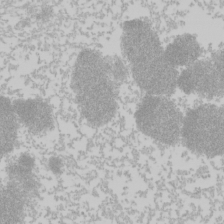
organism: Mouse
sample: Cancer cell death in ED-1 cells